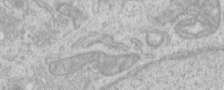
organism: Human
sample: Centriole in RPE cells